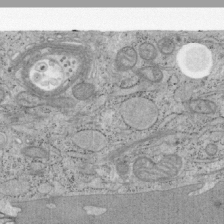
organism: Human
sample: HeLa cells